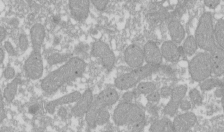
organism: Xenopus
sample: Cilia; centrioles in frog embryo cells